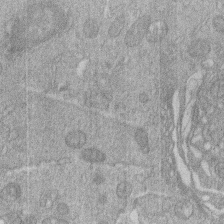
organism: Human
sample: Macrophage cells